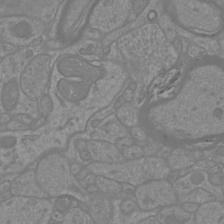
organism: Mouse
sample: Cortical neurons